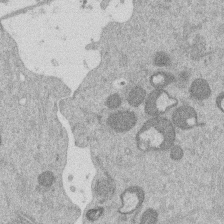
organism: Mouse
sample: Dividing mouse embryo 1 cell stage